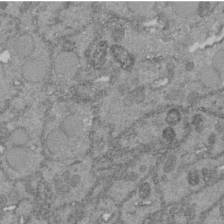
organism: C. elegans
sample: C. elegans embryo early stage